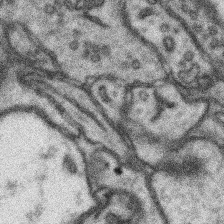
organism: Mouse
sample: Somatosensory cortex neuropil